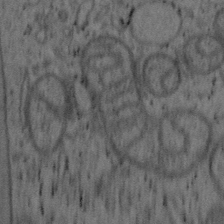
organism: Human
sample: HeLa cells